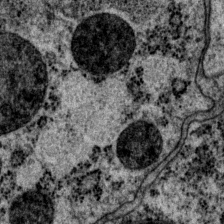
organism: P. pacificus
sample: Pharynx